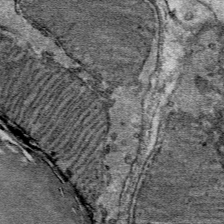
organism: Mouse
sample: Mouse Salivary gland